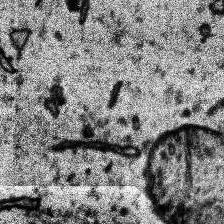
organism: Human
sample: Temporal Lobe